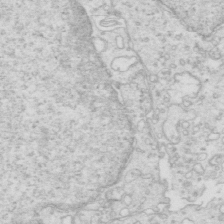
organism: Mouse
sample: Multiciliated cells